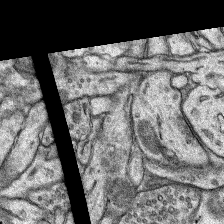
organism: Rat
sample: Hippocampus